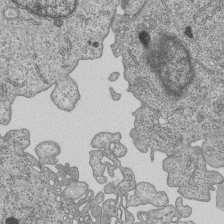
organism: Human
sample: MDA-MB-231 cells